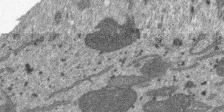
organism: Human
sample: Lung epithelial cells infected with SARS-CoV-2